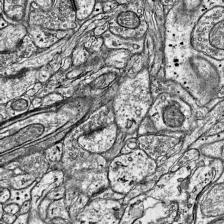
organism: Mouse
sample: Visual Cortex